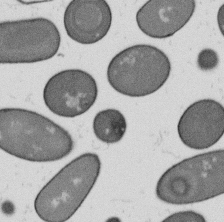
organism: B. subtilis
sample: Bacterial spore